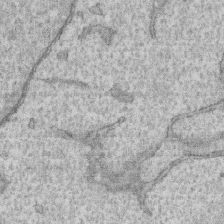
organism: Human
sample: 1205lu cells